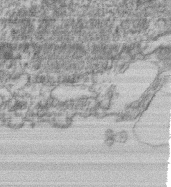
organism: Mouse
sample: T cell stromal cell synapse